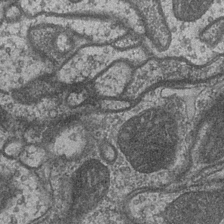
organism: Drosophila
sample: Optic medulla